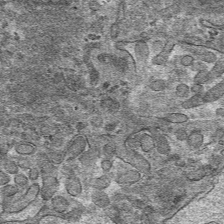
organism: Mouse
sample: Mouse hepatocytes